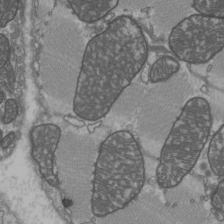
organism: C57BL Mouse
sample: Heart